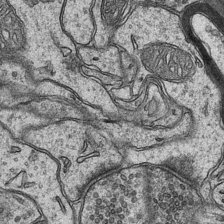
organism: Mouse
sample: CA1 Hippocampus